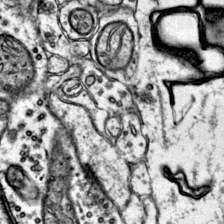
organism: Mouse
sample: Primary visual cortex